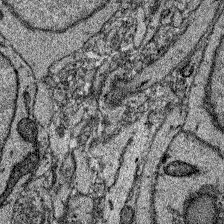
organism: Zebrafish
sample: Larval olfactory bulb